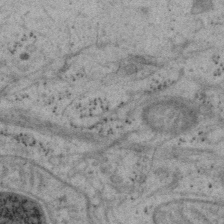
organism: Human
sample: HeLa cells